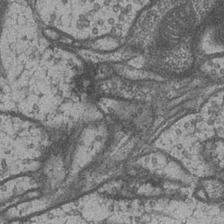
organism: Drosophila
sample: Optic medulla